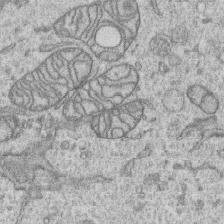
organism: Human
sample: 1205lu cells